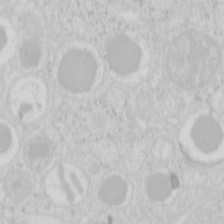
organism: Mouse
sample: Pancreas